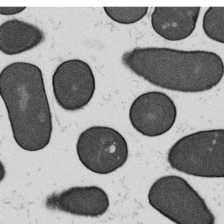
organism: B. subtilis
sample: Bacterial spore